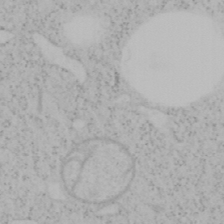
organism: Mouse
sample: OT-I killer T cells with ID8 ovarian cancer cells